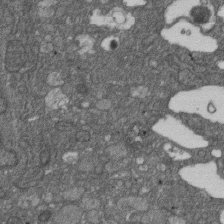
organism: Drosophila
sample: Nephrocyte